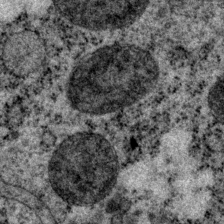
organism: P. pacificus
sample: Pharynx